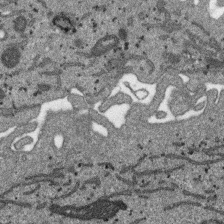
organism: Human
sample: Lung epithelial cells infected with SARS-CoV-2